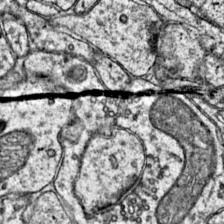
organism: Mouse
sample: Primary visual cortex